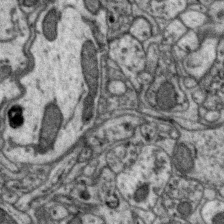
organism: Zebra finch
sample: Brain